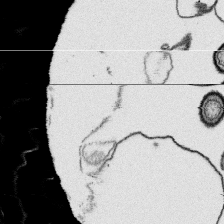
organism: Platynereis dumerilii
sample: Parapodia